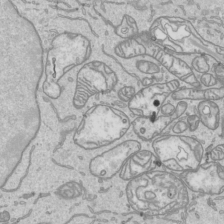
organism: Human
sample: Mitochondria in HCT116 cells